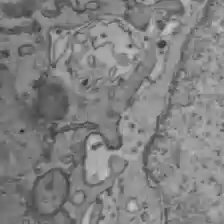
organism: C57BL Mouse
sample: Liver